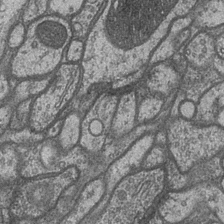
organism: Drosophila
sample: Optic medulla